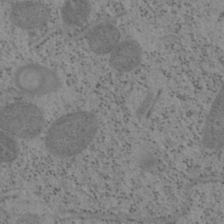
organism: Mouse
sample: OT-I killer T cells with ID8 ovarian cancer cells